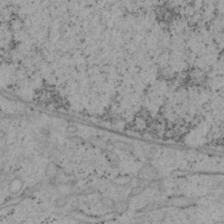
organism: Human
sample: HeLa cells